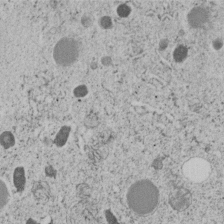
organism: C. elegans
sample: C. elegans embryo early stage